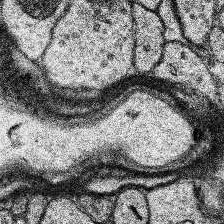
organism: Human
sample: Temporal Lobe